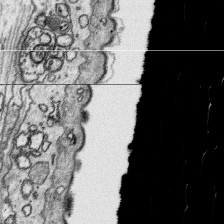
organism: Platynereis dumerilii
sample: Parapodia